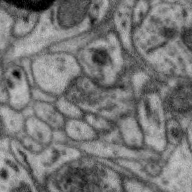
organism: Zebra finch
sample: Brain